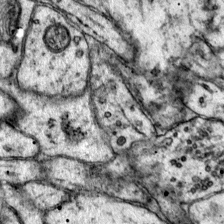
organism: Mouse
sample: Primary visual cortex